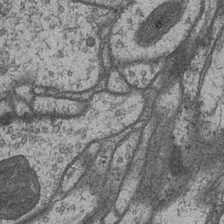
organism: Drosophila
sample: Optic medulla